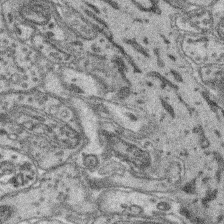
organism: Mouse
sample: Retina